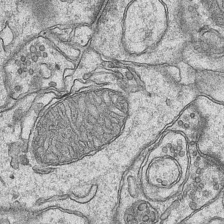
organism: Mouse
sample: CA1 Hippocampus